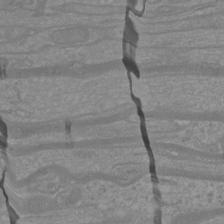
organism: Mouse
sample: Cortical neurons